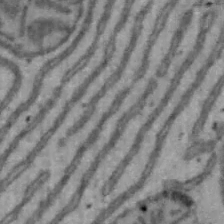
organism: Mouse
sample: Liver